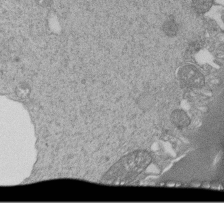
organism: Tetrahymena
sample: Cilia in tetrahymena